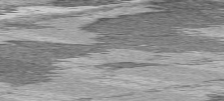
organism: C57BL Mouse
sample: Heart